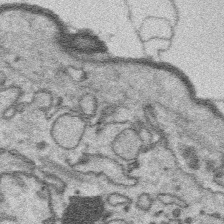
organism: Platynereis dumerilii